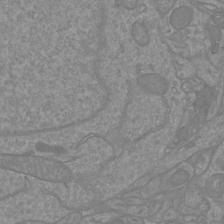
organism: Mouse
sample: Cortical neurons